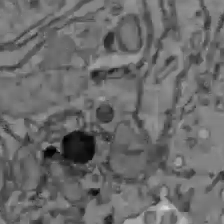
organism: C57BL Mouse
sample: Liver